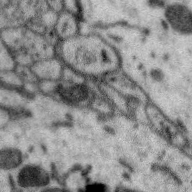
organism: Zebra finch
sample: Brain